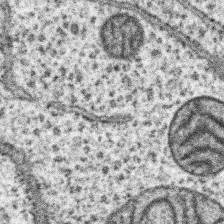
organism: Human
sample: HeLa cells